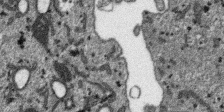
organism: Human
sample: Lung epithelial cells infected with SARS-CoV-2